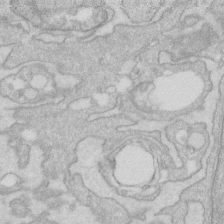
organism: Human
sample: Fibroblast cells